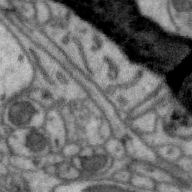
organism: Zebra finch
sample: Brain